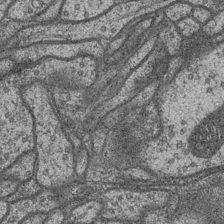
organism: Drosophila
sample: Optic medulla